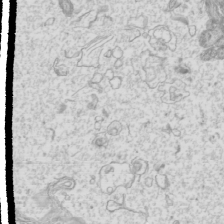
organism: Mouse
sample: Cilia; mouse epididymis